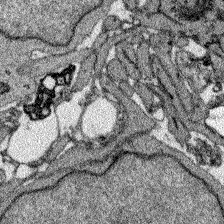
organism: Zebrafish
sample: Larval olfactory bulb